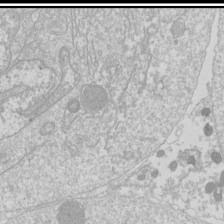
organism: Drosophila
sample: Cell division; meiosis; drosophila spermatocytes